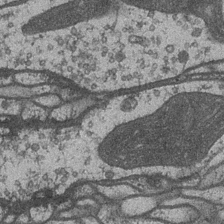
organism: Drosophila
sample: Optic medulla